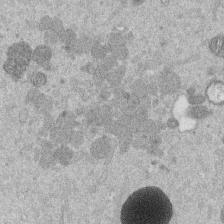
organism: Mouse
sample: Dividing mouse embryo 1 cell stage